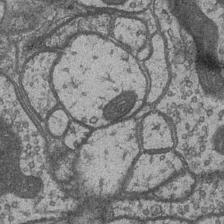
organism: Drosophila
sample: Optic medulla